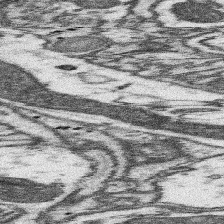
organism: Mouse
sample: Somatosensory cortex neuropil